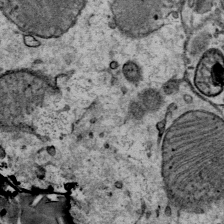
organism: Mouse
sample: Mouse Salivary gland